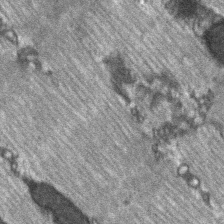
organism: C57BL Mouse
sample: Soleus